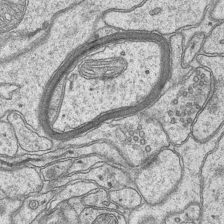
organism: Mouse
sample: CA1 Hippocampus